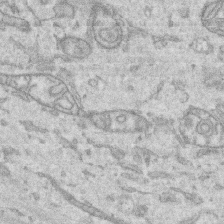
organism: Human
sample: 1205lu cells